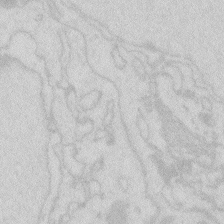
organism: Zebrafish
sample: Macrophage